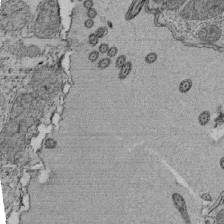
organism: Tetrahymena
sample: Cilia in tetrahymena